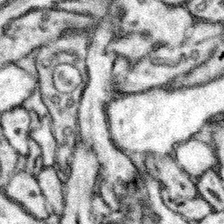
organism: Mouse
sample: Somatosensory cortex neuropil